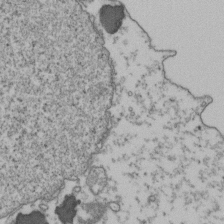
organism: Human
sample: Activated Jurkat CD4+ T cells